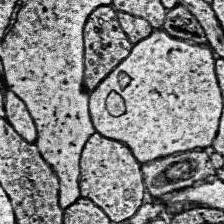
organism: Human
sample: Temporal Lobe